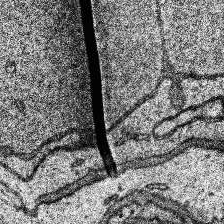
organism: Human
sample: Temporal Lobe